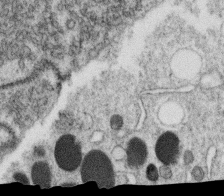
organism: C. elegans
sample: C. elegans oocyte; sperm cells